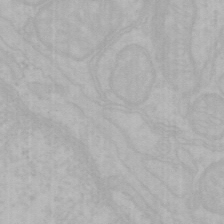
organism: Mouse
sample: Choroid plexus